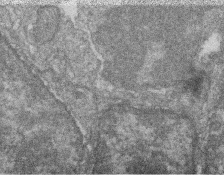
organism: Zebrafish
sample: Cilia; retinal pigment epithelium